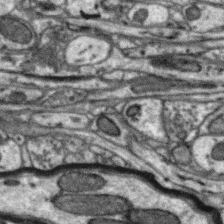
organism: Zebra finch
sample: Brain